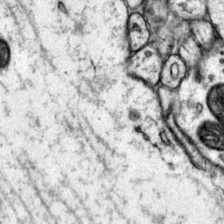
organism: Mouse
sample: Primary visual cortex